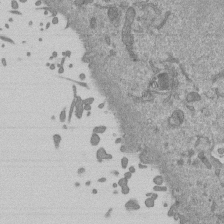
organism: Mouse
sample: ED-1 cell nuclei; centrioles